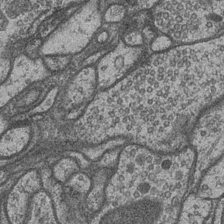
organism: Drosophila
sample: Optic medulla